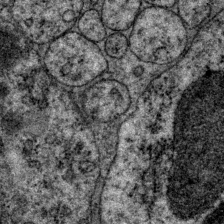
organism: P. pacificus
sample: Pharynx